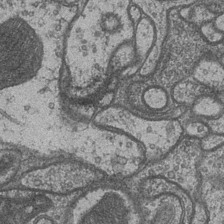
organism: Drosophila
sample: Optic medulla